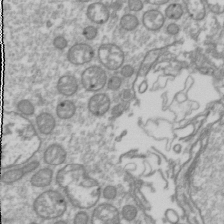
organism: Drosophila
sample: Cell division; meiosis; drosophila spermatocytes